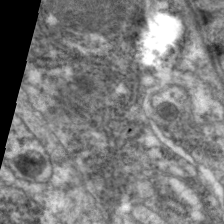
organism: C. elegans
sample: Pharynx